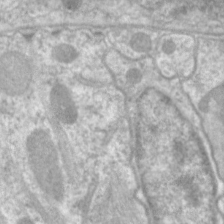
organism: C. elegans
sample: Pharynx